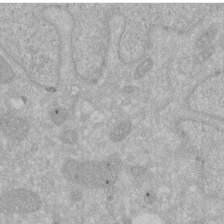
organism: Human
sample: HIV infected U937 cells